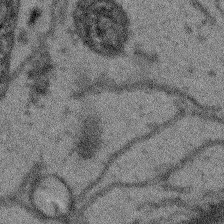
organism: Arabidopsis thaliana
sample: Root tip